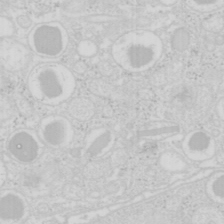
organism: Mouse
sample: Pancreas